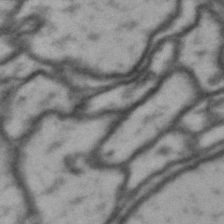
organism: Drosophila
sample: Brain